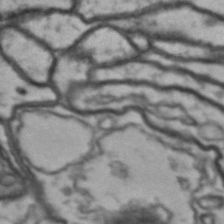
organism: Drosophila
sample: Brain